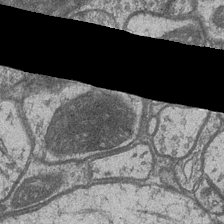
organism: Drosophila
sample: Optic medulla